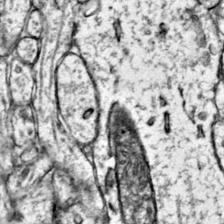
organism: Mouse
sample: Primary visual cortex